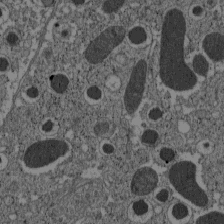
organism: C57BL Mouse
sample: Pancreatic islet